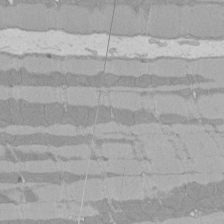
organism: Rat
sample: Left ventricle